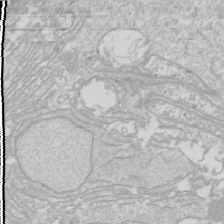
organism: Drosophila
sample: Cell division; meiosis; drosophila spermatocytes